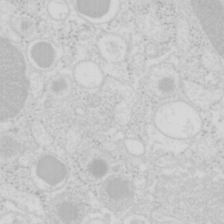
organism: Mouse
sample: Pancreas